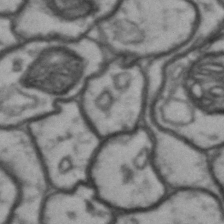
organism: Drosophila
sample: Brain